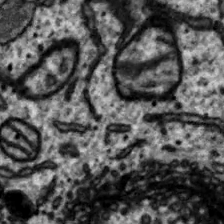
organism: Human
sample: HeLa cells